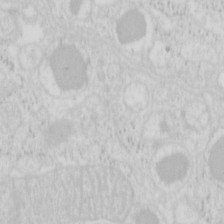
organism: Mouse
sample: Pancreas